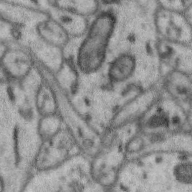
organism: Zebra finch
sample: Brain